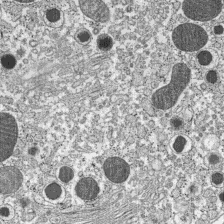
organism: C57BL Mouse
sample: Pancreatic islet